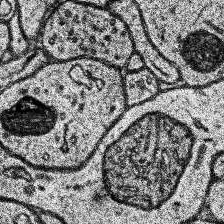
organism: Human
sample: Temporal Lobe